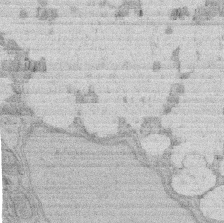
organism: Rat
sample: Salivary granule